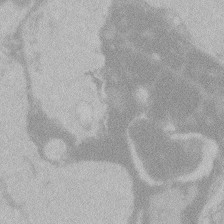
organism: Zebrafish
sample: Macrophage infected with Toxoplasma gondii